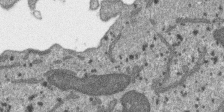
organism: Human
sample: Lung epithelial cells infected with SARS-CoV-2